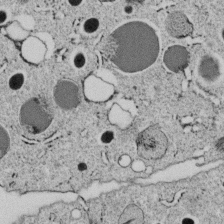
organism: C. elegans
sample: C. elegans embryo early stage